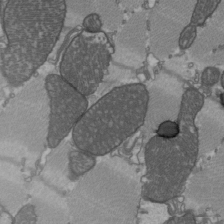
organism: C57BL Mouse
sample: Heart